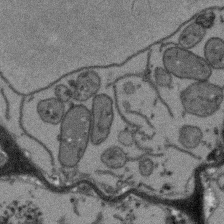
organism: Arabidopsis thaliana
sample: Root tip